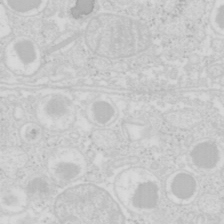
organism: Mouse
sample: Pancreas